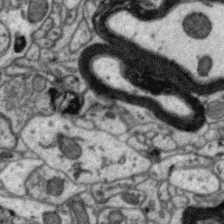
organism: Zebra finch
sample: Brain